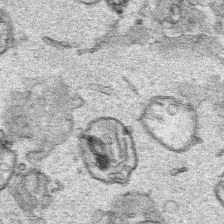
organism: Human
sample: Mitochondria in HCT116 cells